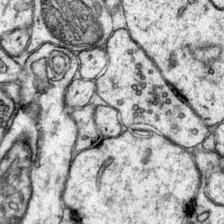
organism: Mouse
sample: Primary visual cortex